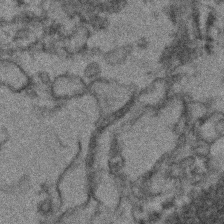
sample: Kidney